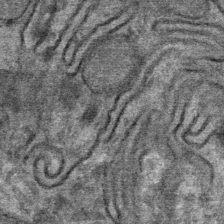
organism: Mouse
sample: Mouse Salivary gland